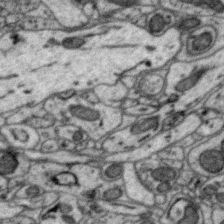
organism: Zebra finch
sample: Brain